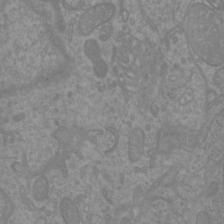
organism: Mouse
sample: Cortical neurons